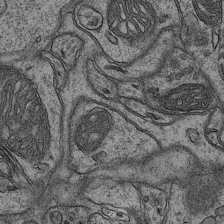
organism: Mouse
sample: CA1 Hippocampus